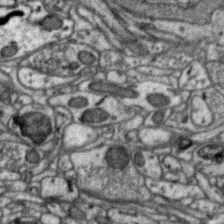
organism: Zebra finch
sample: Brain